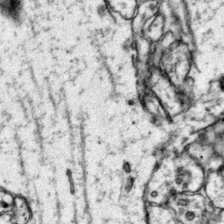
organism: Mouse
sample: Primary visual cortex